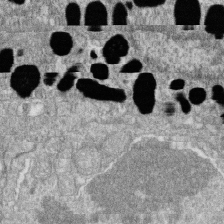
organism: Zebrafish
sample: Cilia; retinal pigment epithelium